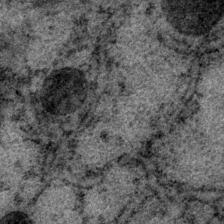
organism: P. pacificus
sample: Pharynx